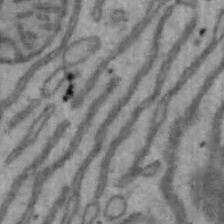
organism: Mouse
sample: Liver